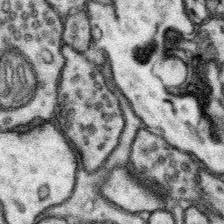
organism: Mouse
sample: Somatosensory cortex neuropil